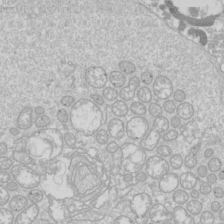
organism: Drosophila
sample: Cell division; meiosis; drosophila spermatocytes